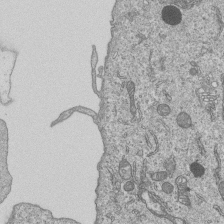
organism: Human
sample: MDA-MB-231 cells